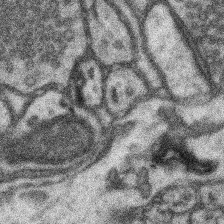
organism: Mouse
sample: Somatosensory cortex neuropil